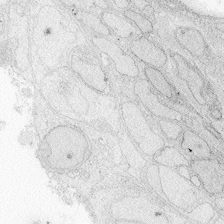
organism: Zebrafish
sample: Whole-Brain